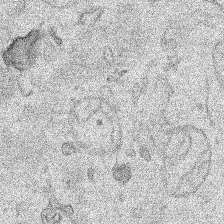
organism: Human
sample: Mitochondria in HCT116 cells